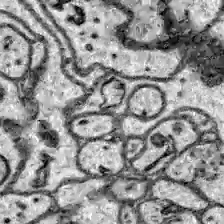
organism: Zebrafish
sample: Brain